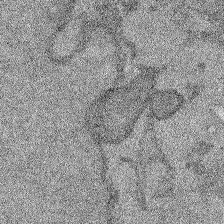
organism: Human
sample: HeLa cells